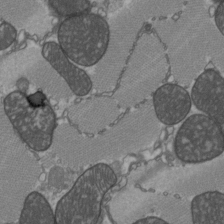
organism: C57BL Mouse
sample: Heart